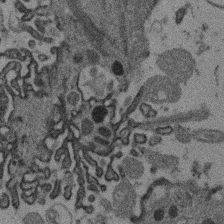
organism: Mouse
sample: Dividing mouse embryo 1 cell stage